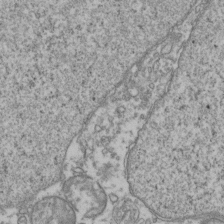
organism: Human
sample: Activated Jurkat CD4+ T cells